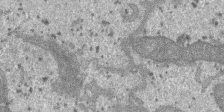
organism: Human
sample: Lung epithelial cells infected with SARS-CoV-2